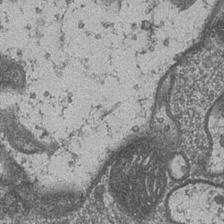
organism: Drosophila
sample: Optic medulla